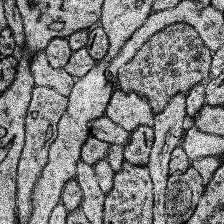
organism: Human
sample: Temporal Lobe